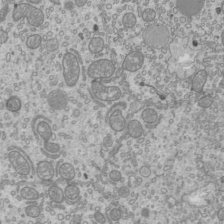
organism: Mouse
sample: Cilia; mouse epididymis